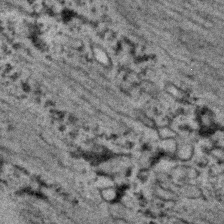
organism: C. elegans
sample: C. elegans embryo